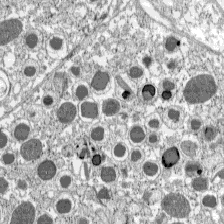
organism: C57BL Mouse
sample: Pancreatic islet